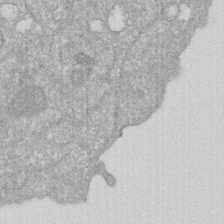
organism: Human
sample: HIV infected U937 cells